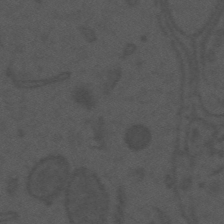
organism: Mouse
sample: Suprachiasmatic nucleus